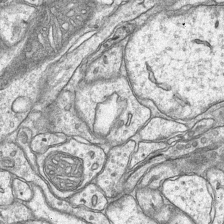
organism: Mouse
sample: CA1 Hippocampus